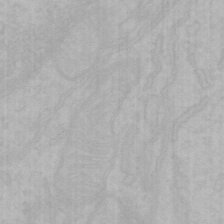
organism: Mouse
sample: Choroid plexus